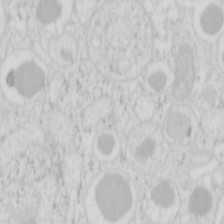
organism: Mouse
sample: Pancreas